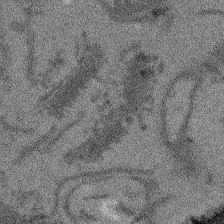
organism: Arabidopsis thaliana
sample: Root tip